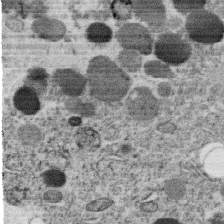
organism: C. elegans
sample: C. elegans oocyte; sperm cells